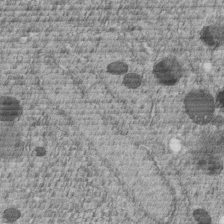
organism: C. elegans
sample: C. elegans embryo early stage